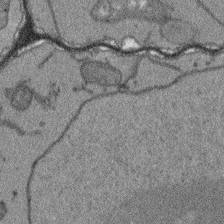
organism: Arabidopsis thaliana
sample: Root tip